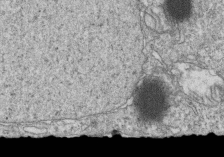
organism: Human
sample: HeLa cell HIV synapse